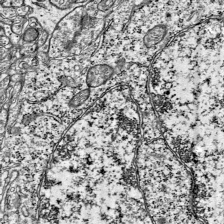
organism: Mouse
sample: Visual Cortex